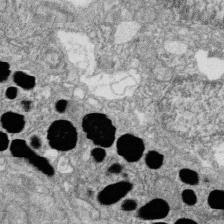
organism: Zebrafish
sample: Cilia; retinal pigment epithelium